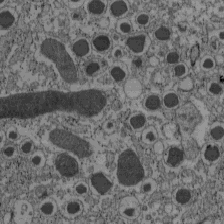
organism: C57BL Mouse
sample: Pancreatic islet